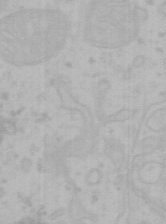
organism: Mouse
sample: Choroid plexus